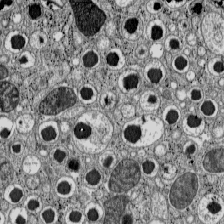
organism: C57BL Mouse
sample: Pancreatic islet